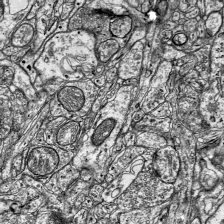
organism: Mouse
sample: Visual Cortex